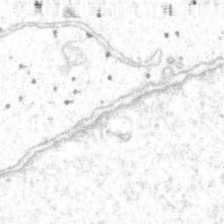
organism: Human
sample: HeLa cells